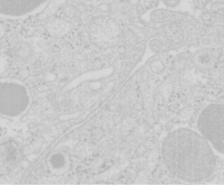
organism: Mouse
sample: Pancreas